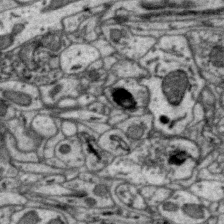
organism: Zebra finch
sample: Brain